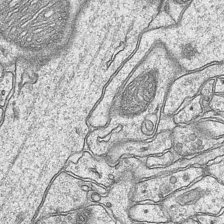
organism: Mouse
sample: CA1 Hippocampus